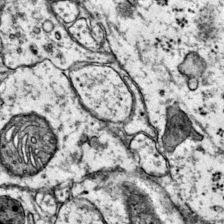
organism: Mouse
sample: Primary visual cortex